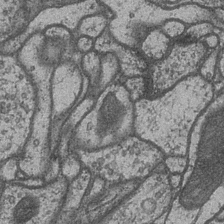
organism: Drosophila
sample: Optic medulla